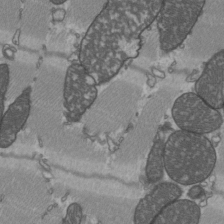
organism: C57BL Mouse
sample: Heart